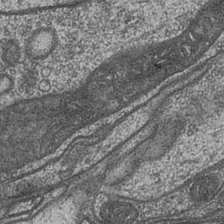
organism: Drosophila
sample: Optic medulla